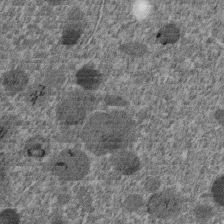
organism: C. elegans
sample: C. elegans embryo early stage